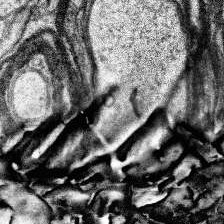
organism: Human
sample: Temporal Lobe